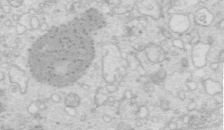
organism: Mouse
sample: Multiciliated cells